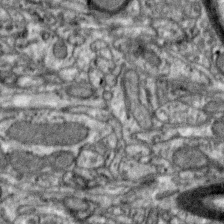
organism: Zebra finch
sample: Brain